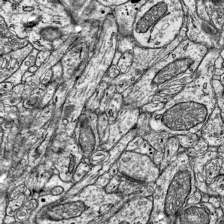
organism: Mouse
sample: Visual Cortex